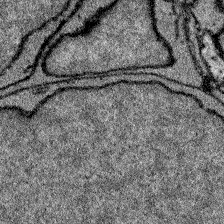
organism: Zebrafish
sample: Larval olfactory bulb